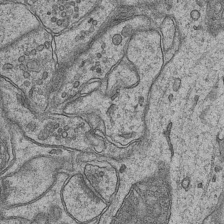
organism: Mouse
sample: CA1 Hippocampus